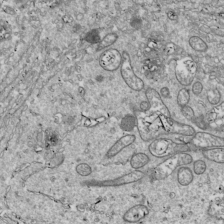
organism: Drosophila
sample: Cell division; meiosis; drosophila spermatocytes